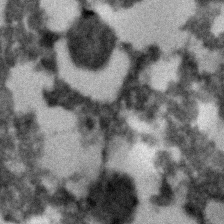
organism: C. elegans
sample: C. elegans embryo